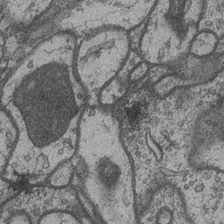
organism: Drosophila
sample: Optic medulla